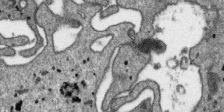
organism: Human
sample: Lung epithelial cells, uninfected (mock) control